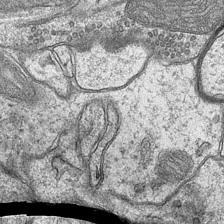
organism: Mouse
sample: CA1 Hippocampus